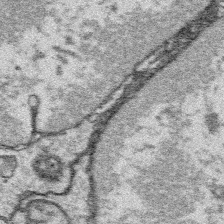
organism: Platynereis dumerilii